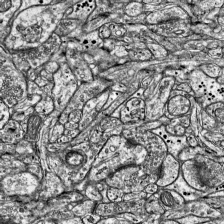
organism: Mouse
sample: Visual Cortex